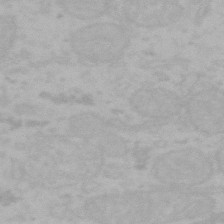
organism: Mouse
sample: Choroid plexus